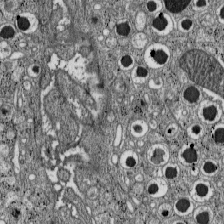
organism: C57BL Mouse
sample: Pancreatic islet